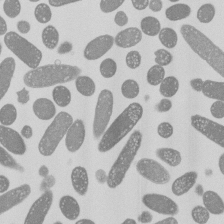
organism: E. coli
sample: Bacterial nucleoid